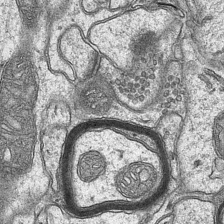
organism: Mouse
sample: CA1 Hippocampus